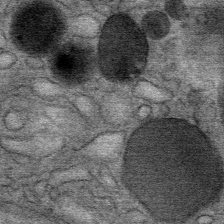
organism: Mouse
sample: Mouse Salivary gland